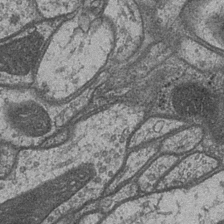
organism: Drosophila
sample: Optic medulla